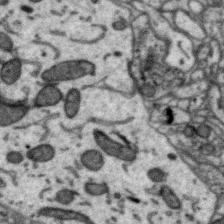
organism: Zebra finch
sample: Brain